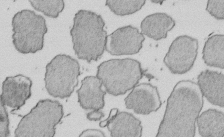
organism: E. coli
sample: Bacterial nucleoid